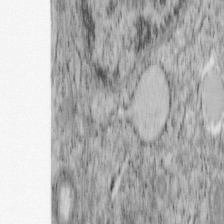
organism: Human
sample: HeLa cells